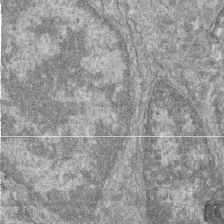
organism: Zebrafish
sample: Cilia; retinal pigment epithelium